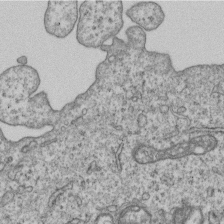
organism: Human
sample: MDA-MB-231 cells